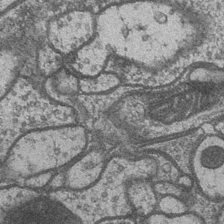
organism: Drosophila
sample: Optic medulla